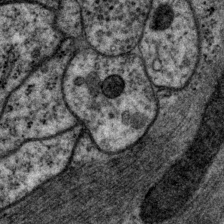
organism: P. pacificus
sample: Pharynx